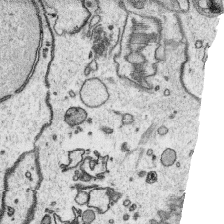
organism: Platynereis dumerilii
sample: Parapodia